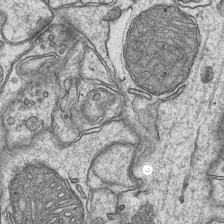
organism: Mouse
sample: CA1 Hippocampus